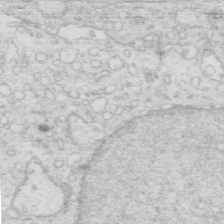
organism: Mouse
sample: Multiciliated cells